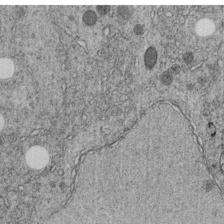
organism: C. elegans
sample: C. elegans embryo early stage